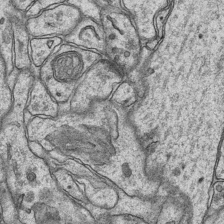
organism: Mouse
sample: CA1 Hippocampus